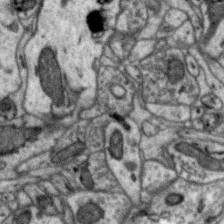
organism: Zebra finch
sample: Brain